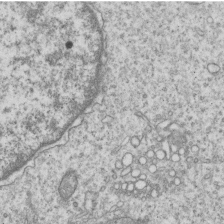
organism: Human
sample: MDA-MB-231 cells